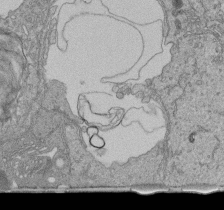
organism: Human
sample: Retinal organoid Rod and Cone cells